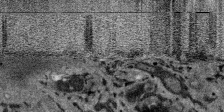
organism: Human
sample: Lung epithelial cells, uninfected (mock) control